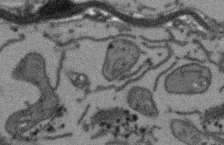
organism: Arabidopsis thaliana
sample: Root tip